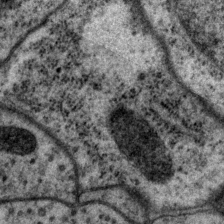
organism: P. pacificus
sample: Pharynx